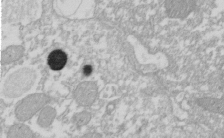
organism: Xenopus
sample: Cilia; centrioles in frog embryo cells